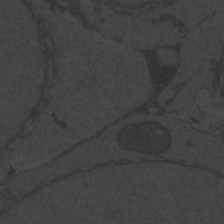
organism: Zebrafish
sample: Macrophage infected with Toxoplasma gondii